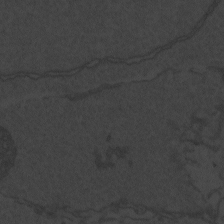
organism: Zebrafish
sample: Macrophage infected with Toxoplasma gondii